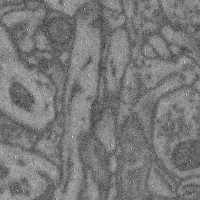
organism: Mouse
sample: Cerebral cortex